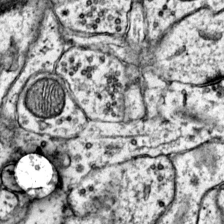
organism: Mouse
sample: Primary visual cortex